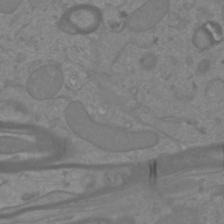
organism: Mouse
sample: Cortical neurons